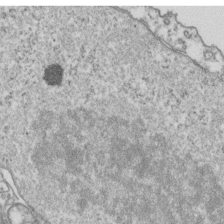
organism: Human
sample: Activated Jurkat CD4+ T cells